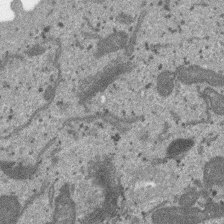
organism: Human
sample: Lung epithelial cells infected with SARS-CoV-2